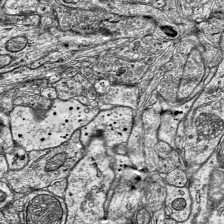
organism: Mouse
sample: Visual Cortex